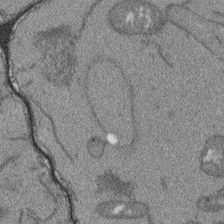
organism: Arabidopsis thaliana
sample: Root tip